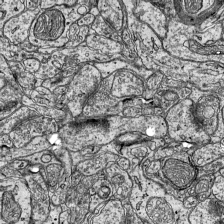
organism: Mouse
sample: Visual Cortex